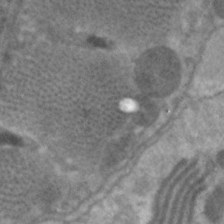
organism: C. elegans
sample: Pharynx